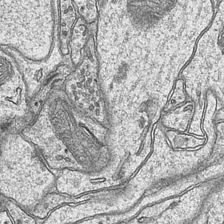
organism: Mouse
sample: CA1 Hippocampus